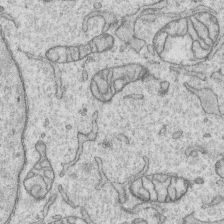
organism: Human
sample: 1205lu cells